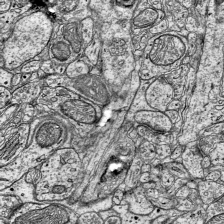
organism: Mouse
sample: Visual Cortex